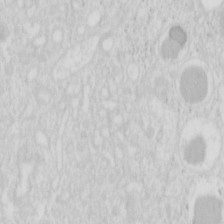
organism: Mouse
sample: Pancreas